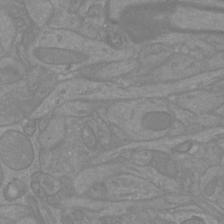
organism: Mouse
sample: Cortical neurons